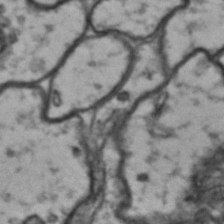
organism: Drosophila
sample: Brain